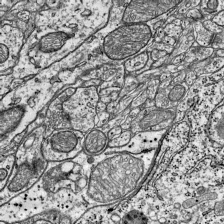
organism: Mouse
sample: Visual Cortex